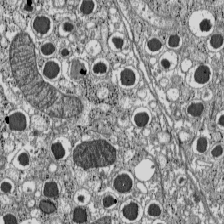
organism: C57BL Mouse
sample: Pancreatic islet